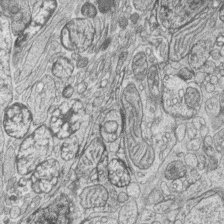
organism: Zebrafish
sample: synaptic ribbons in rod cells and cone cells